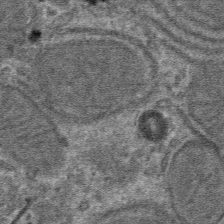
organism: Mouse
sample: Mouse hepatocytes